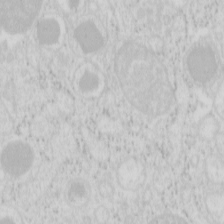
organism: Mouse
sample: Pancreas